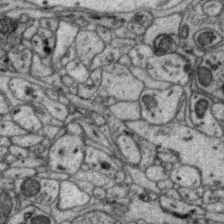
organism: Zebra finch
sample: Brain